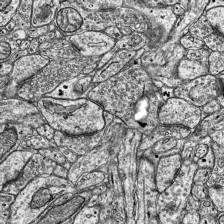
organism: Mouse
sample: Visual Cortex